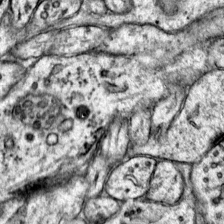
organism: Mouse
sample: Primary visual cortex